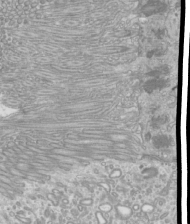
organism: Mouse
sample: Cilia; mouse epididymis